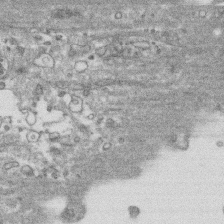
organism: Human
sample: CRL-1474